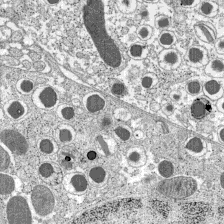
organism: C57BL Mouse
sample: Pancreatic islet